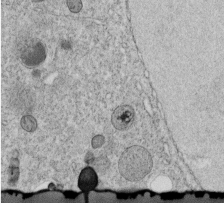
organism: C. elegans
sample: C. elegans embryo early stage